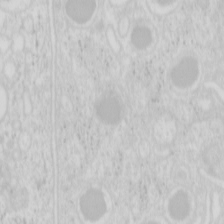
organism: Mouse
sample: Pancreas